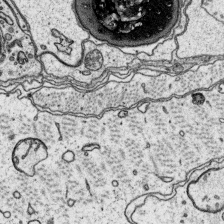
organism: Platynereis dumerilii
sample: Parapodia